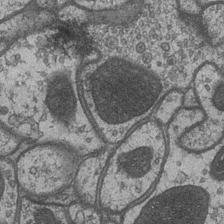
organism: Drosophila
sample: Optic medulla